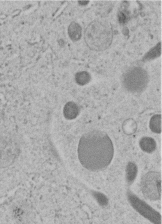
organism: C. elegans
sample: C. elegans embryo early stage